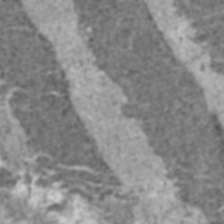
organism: C57BL Mouse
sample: Heart